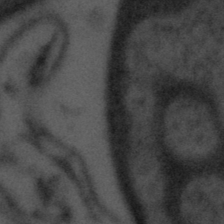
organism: Tuwongella immobilis